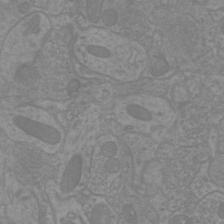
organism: Mouse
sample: Cortical neurons